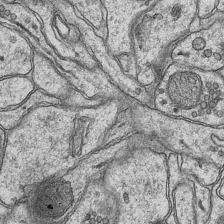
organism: Mouse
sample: CA1 Hippocampus